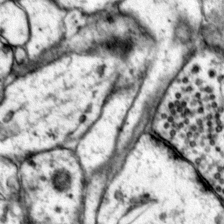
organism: Mouse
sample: Primary visual cortex